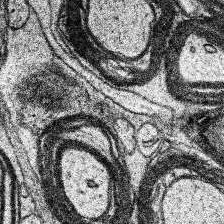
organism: Human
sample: Temporal Lobe